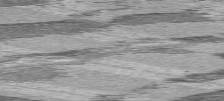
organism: C57BL Mouse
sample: Heart